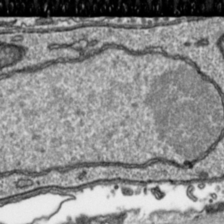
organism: Toxoplasma gondii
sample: Parasites in a vacuole inside a host cell